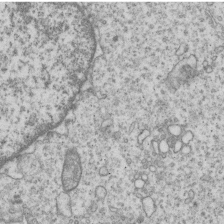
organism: Human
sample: MDA-MB-231 cells